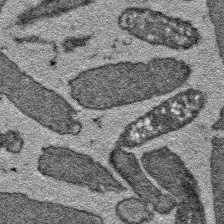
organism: E. coli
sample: E. Coli Bacteria